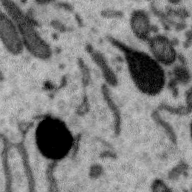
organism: Zebra finch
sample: Brain